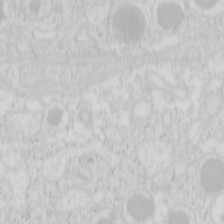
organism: Mouse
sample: Pancreas